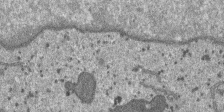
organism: Human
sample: Lung epithelial cells infected with SARS-CoV-2